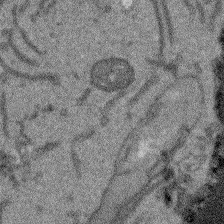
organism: Arabidopsis thaliana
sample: Root tip